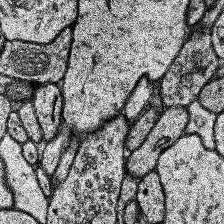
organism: Human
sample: Temporal Lobe